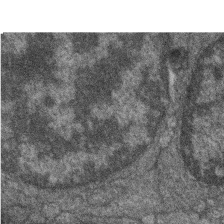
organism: Zebrafish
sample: Cilia; retinal pigment epithelium